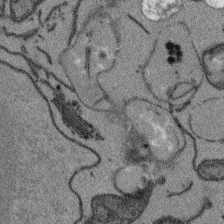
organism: Arabidopsis thaliana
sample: Root tip